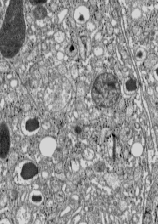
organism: C57BL Mouse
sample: Pancreatic islet